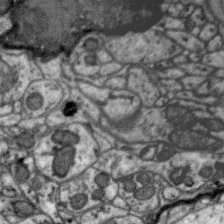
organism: Zebra finch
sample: Brain